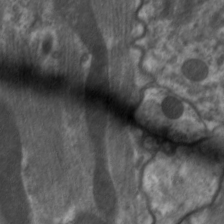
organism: C. elegans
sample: Pharynx